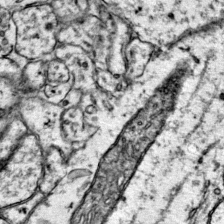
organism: Mouse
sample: Primary visual cortex